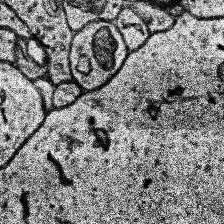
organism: Human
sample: Temporal Lobe